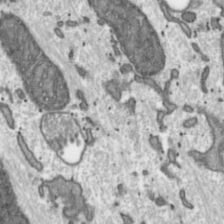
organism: Toxoplasma gondii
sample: Parasites in a vacuole inside a host cell